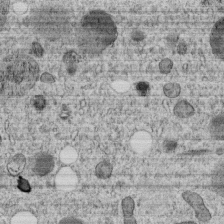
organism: C. elegans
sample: C. elegans embryo early stage